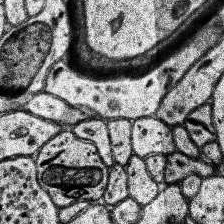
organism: Human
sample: Temporal Lobe